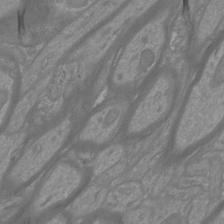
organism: Mouse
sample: Cortical neurons